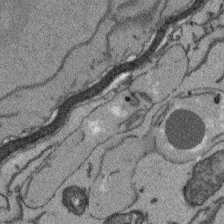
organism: Arabidopsis thaliana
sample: Root tip